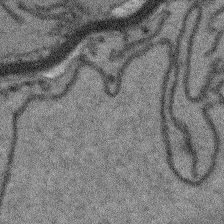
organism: Arabidopsis thaliana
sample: Root tip